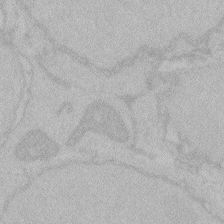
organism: Zebrafish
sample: Macrophage infected with Toxoplasma gondii